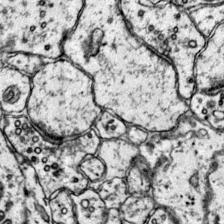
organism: Mouse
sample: Primary visual cortex